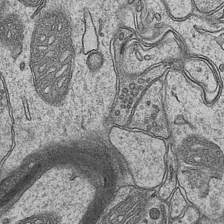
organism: Mouse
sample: CA1 Hippocampus